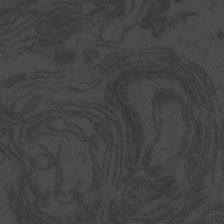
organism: Zebrafish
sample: Macrophage infected with Toxoplasma gondii